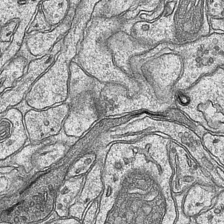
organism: Mouse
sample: CA1 Hippocampus